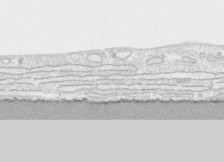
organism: Human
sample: CRL-1474